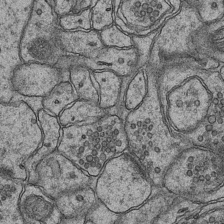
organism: Mouse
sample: CA1 Hippocampus